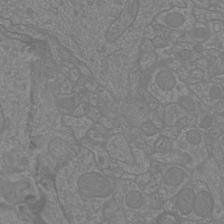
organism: Mouse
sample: Cortical neurons